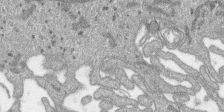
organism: Human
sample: Lung epithelial cells infected with SARS-CoV-2